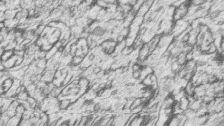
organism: Zebrafish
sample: synaptic ribbons in rod cells and cone cells